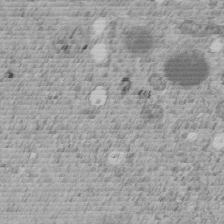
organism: C. elegans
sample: C. elegans embryo early stage